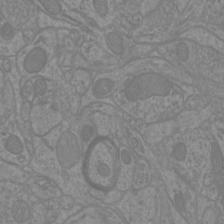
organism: Mouse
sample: Cortical neurons